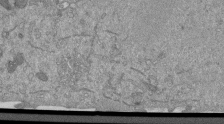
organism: Mouse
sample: ED-1 cell nuclei; centrioles